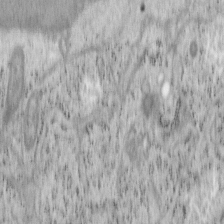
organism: Human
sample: HeLa cells